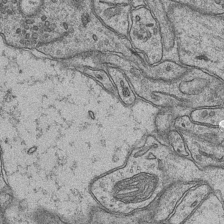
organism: Mouse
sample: CA1 Hippocampus